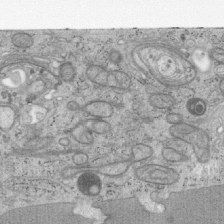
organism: Human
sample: HeLa cells